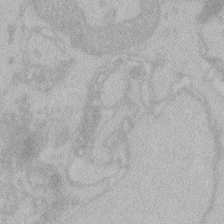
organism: Zebrafish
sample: Macrophage infected with Toxoplasma gondii